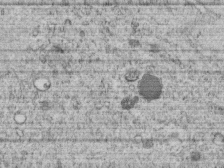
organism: C. elegans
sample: C. elegans embryo early stage